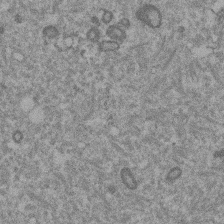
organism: Mouse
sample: Dividing mouse embryo 1 cell stage